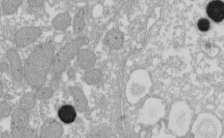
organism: Xenopus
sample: Cilia; centrioles in frog embryo cells